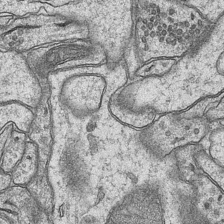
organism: Mouse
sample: CA1 Hippocampus